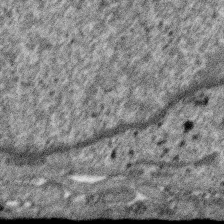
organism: Human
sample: Lung epithelial cells infected with SARS-CoV-2